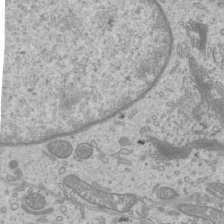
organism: Mouse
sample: Cilia; mouse epididymis